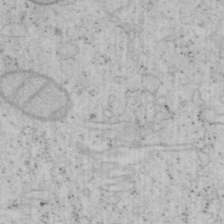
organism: Human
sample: HeLa cells